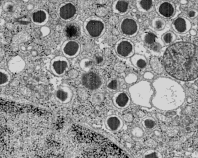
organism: C57BL Mouse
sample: Pancreatic islet